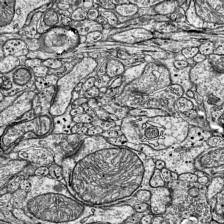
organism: Mouse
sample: Visual Cortex